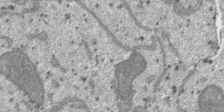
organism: Human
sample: Lung epithelial cells infected with SARS-CoV-2